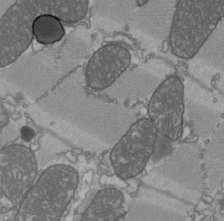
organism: C57BL Mouse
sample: Heart